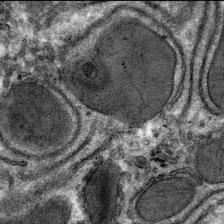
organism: Mouse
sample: Mouse hepatocytes